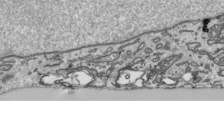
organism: Human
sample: Mitochondria in HCT116 cells